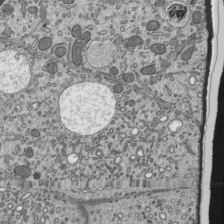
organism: Mouse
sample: Mouse epididymis efferent ductule cilia